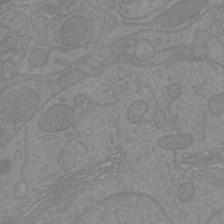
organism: Mouse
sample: Cortical neurons